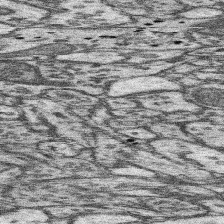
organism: Mouse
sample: Somatosensory cortex neuropil